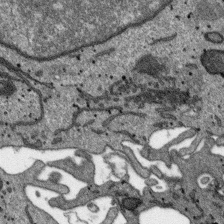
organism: Human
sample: Lung epithelial cells, uninfected (mock) control